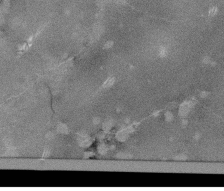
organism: Tetrahymena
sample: Cilia in tetrahymena